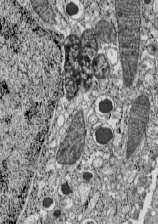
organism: C57BL Mouse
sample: Pancreatic islet